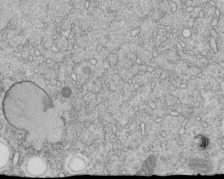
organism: C. elegans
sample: C. elegans embryo early stage